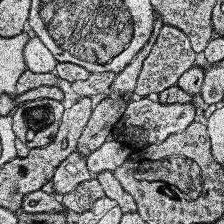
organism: Human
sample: Temporal Lobe